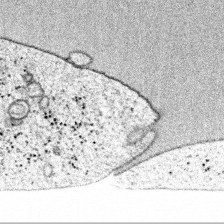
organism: Human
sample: HeLa cells